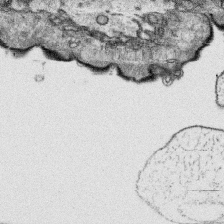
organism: Platynereis dumerilii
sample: Parapodia